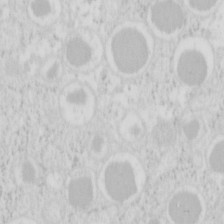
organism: Mouse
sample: Pancreas